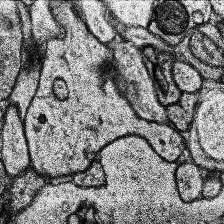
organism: Human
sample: Temporal Lobe